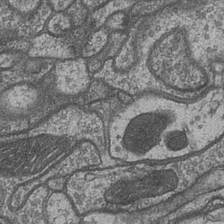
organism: Drosophila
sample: Optic medulla